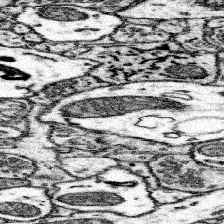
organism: Mouse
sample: Somatosensory cortex neuropil